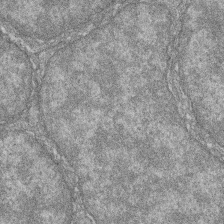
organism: Zebrafish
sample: Cilia; retinal pigment epithelium